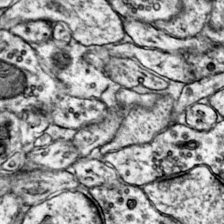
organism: Mouse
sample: Primary visual cortex